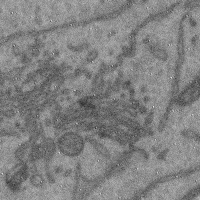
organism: Mouse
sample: Cerebral cortex